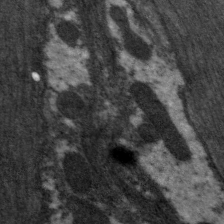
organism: C. elegans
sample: Pharynx